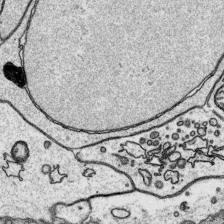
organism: Platynereis dumerilii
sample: Parapodia